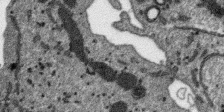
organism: Human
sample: Lung epithelial cells infected with SARS-CoV-2